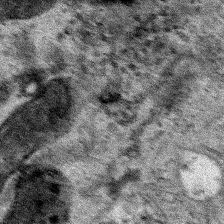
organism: Human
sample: Mitochondria in HCT116 cells